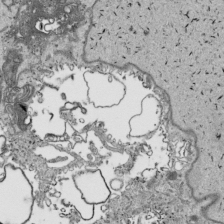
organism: Human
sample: Mitochondria in HCT116 cells